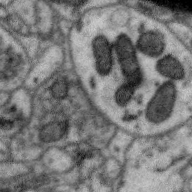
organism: Zebra finch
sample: Brain